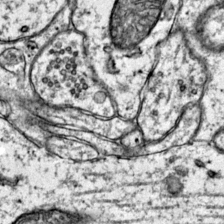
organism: Mouse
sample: Primary visual cortex